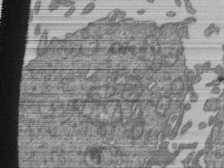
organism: Human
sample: Retinal organoid Rod and Cone cells